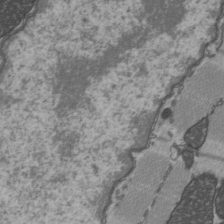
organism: C57BL Mouse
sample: Heart